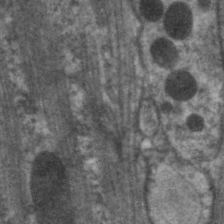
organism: C. elegans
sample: Pharynx